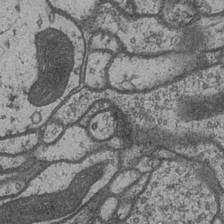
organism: Drosophila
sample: Optic medulla